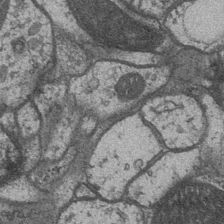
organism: Drosophila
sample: Optic medulla